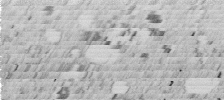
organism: C. elegans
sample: C. elegans embryo early stage